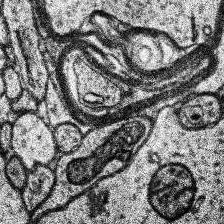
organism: Human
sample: Temporal Lobe